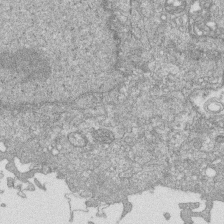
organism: Human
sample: HeLa cell HIV synapse